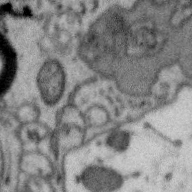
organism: Zebra finch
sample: Brain